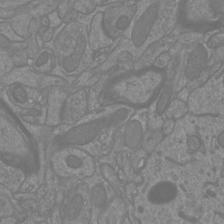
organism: Mouse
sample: Cortical neurons